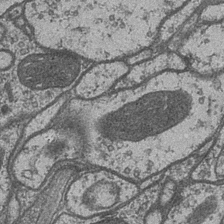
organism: Drosophila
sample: Optic medulla